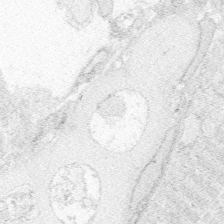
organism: Zebrafish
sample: Whole-Brain